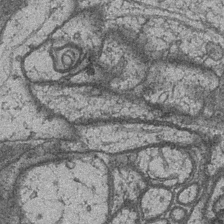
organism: Drosophila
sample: Optic medulla